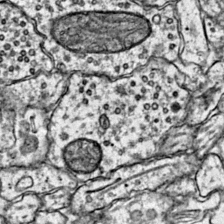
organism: Mouse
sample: Primary visual cortex